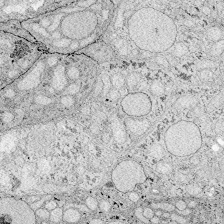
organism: Zebrafish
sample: Whole-Brain